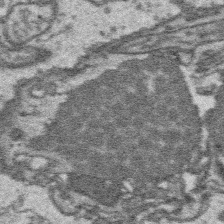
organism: Platynereis dumerilii